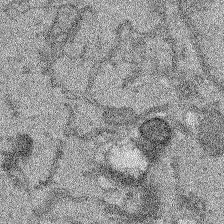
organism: Human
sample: HeLa cells